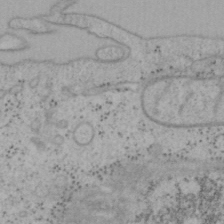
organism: Human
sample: HeLa cells